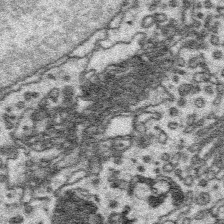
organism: Platynereis dumerilii